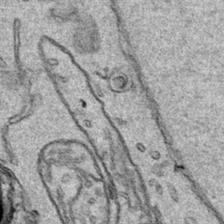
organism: Human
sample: Mitochondria in HCT116 cells